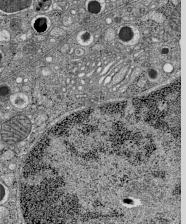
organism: C57BL Mouse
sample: Pancreatic islet